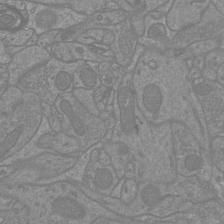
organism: Mouse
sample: Cortical neurons